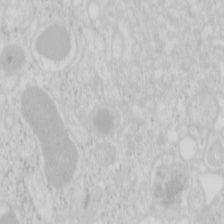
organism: Mouse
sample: Pancreas